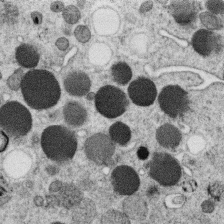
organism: C. elegans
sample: C. elegans oocyte; sperm cells